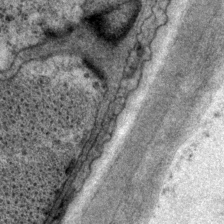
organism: P. pacificus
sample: Pharynx